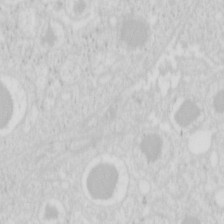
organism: Mouse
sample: Pancreas